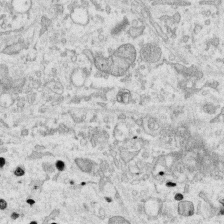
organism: Human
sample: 1205lu cells